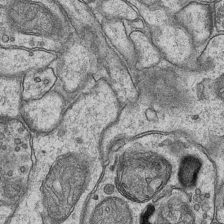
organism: Mouse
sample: CA1 Hippocampus